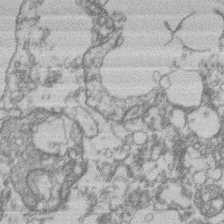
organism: Mouse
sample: T cell stromal cell synapse